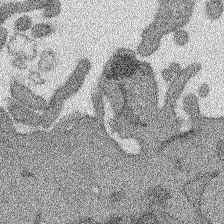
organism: Human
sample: HeLa cells